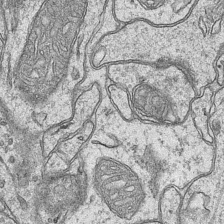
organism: Mouse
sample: CA1 Hippocampus